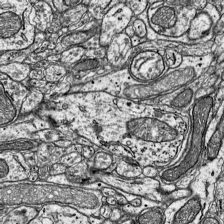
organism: Mouse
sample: Visual Cortex